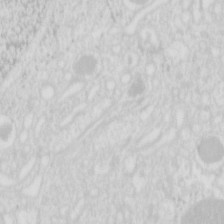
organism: Mouse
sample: Pancreas